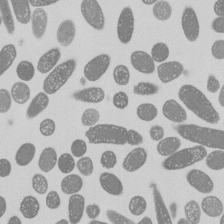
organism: E. coli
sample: Bacterial nucleoid